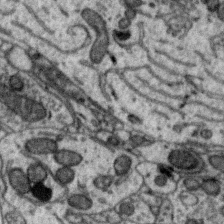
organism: Zebra finch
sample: Brain